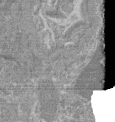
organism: Mouse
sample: Glomerulus